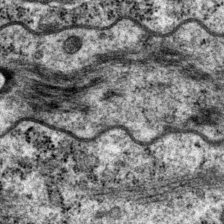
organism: P. pacificus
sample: Pharynx